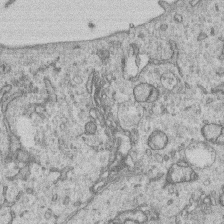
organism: Human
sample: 1205lu cells